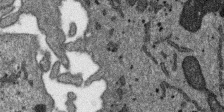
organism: Human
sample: Lung epithelial cells infected with SARS-CoV-2